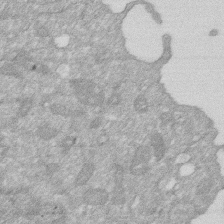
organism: Human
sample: HIV infected U937 cells